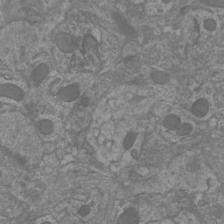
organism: Mouse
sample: Cortical neurons